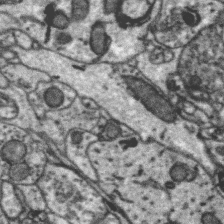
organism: Zebra finch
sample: Brain